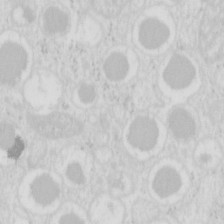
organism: Mouse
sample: Pancreas